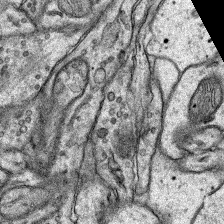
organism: Rat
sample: Hippocampus